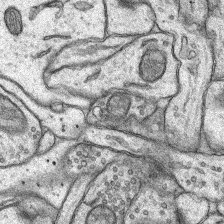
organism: Rat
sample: Hippocampus